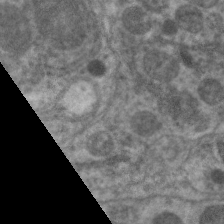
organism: C. elegans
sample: Pharynx